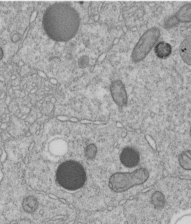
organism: C. elegans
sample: C. elegans embryo early stage